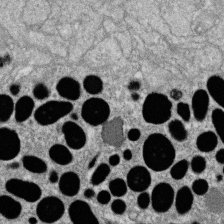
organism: Zebrafish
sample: Cilia; retinal pigment epithelium